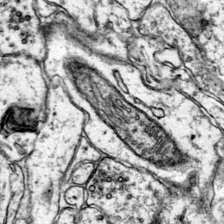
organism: Mouse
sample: Primary visual cortex